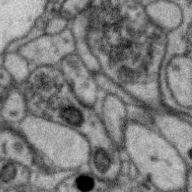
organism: Zebra finch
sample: Brain